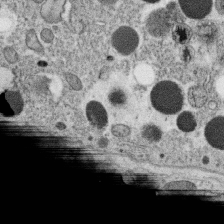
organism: C. elegans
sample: C. elegans oocyte; sperm cells